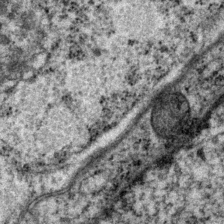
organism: P. pacificus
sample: Pharynx